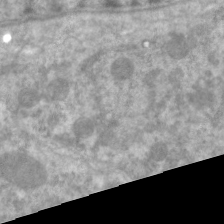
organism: C. elegans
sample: Pharynx